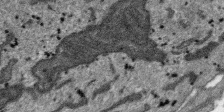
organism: Human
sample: Lung epithelial cells, uninfected (mock) control